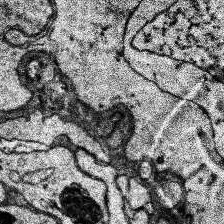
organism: Human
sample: Temporal Lobe